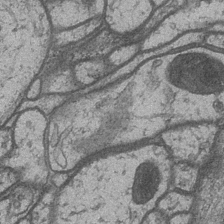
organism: Drosophila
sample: Optic medulla